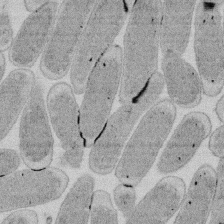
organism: E. coli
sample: Bacterial nucleoid